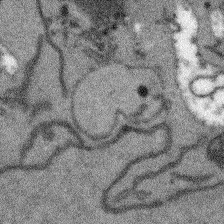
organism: Arabidopsis thaliana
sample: Root tip